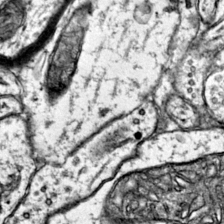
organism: Mouse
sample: Primary visual cortex